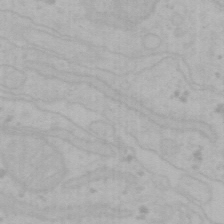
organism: Mouse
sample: Choroid plexus